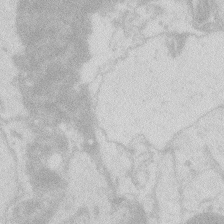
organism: Zebrafish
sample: Macrophage